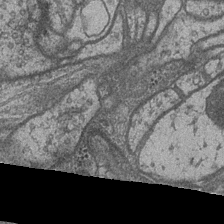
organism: Drosophila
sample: Optic medulla